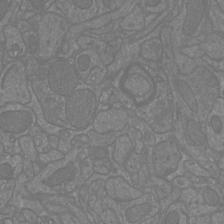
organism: Mouse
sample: Cortical neurons